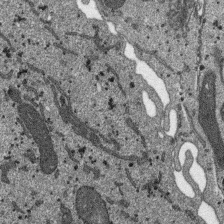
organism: Human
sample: Lung epithelial cells infected with SARS-CoV-2